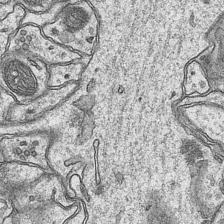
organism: Mouse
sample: CA1 Hippocampus